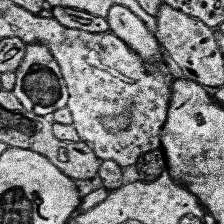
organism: Human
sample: Temporal Lobe